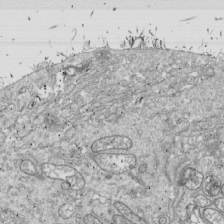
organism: Drosophila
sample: Cell division; meiosis; drosophila spermatocytes